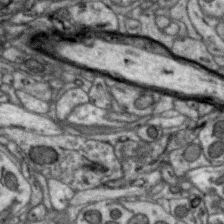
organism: Zebra finch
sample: Brain